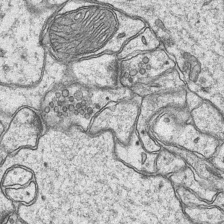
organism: Mouse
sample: CA1 Hippocampus